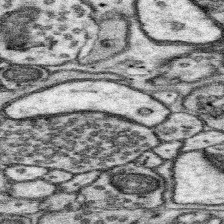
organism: Mouse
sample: Somatosensory cortex neuropil